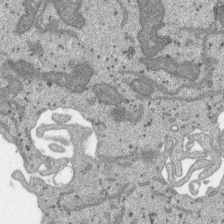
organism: Human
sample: Lung epithelial cells infected with SARS-CoV-2